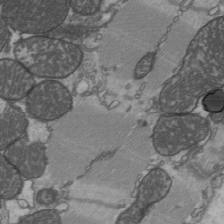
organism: C57BL Mouse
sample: Heart